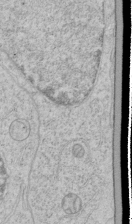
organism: Human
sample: Mitochondria in HCT116 cells